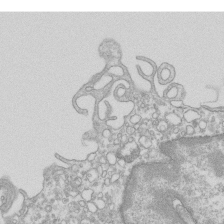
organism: Mouse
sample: Macrophages